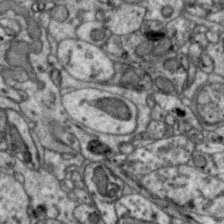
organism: Zebra finch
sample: Brain